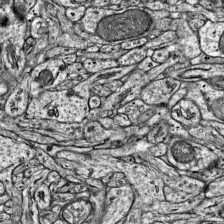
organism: Mouse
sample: Visual Cortex